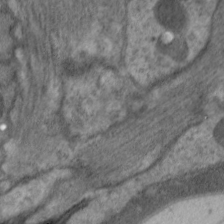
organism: C. elegans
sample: Pharynx